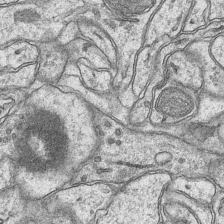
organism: Mouse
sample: CA1 Hippocampus